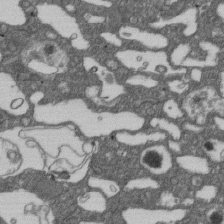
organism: Drosophila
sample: Nephrocyte